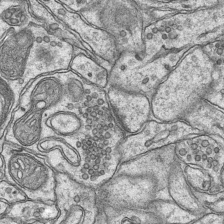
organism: Mouse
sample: CA1 Hippocampus